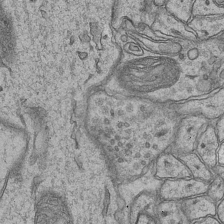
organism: Mouse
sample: CA1 Hippocampus